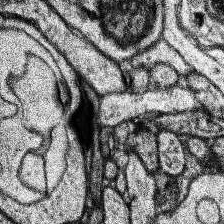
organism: Human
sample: Temporal Lobe